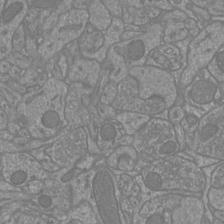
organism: Mouse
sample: Cortical neurons